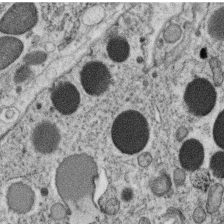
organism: C. elegans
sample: C. elegans oocyte; sperm cells